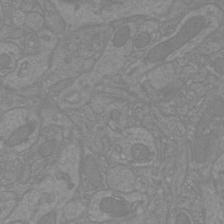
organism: Mouse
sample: Cortical neurons